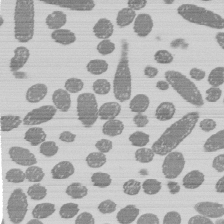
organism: E. coli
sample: Bacterial nucleoid